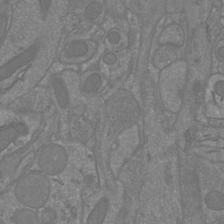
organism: Mouse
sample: Cortical neurons